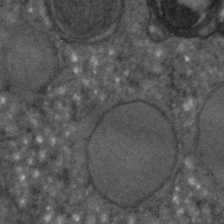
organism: C. elegans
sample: C. elegans embryo